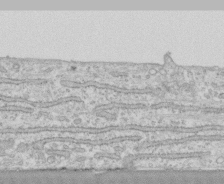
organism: Human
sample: CRL-1474